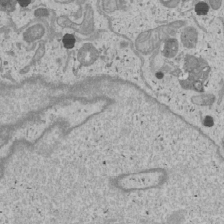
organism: Human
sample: Mitochondria in U2OS cells